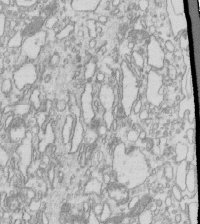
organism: Mouse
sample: Macrophages